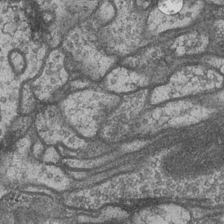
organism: Drosophila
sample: Optic medulla